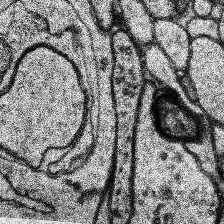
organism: Human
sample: Temporal Lobe